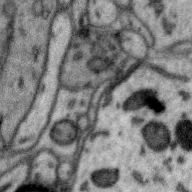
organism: Zebra finch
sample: Brain